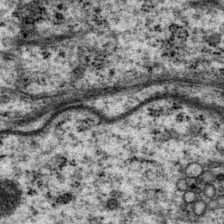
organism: P. pacificus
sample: Pharynx